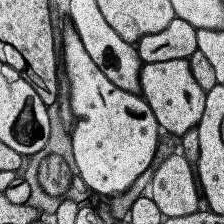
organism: Human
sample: Temporal Lobe